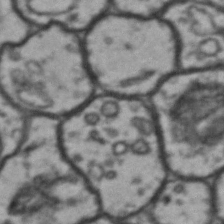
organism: Drosophila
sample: Brain